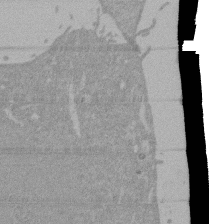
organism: Mouse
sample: ED-1 cell nuclei; centrioles